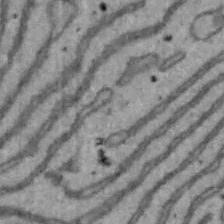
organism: Mouse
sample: Liver